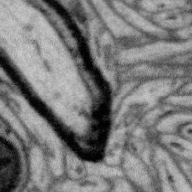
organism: Zebra finch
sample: Brain